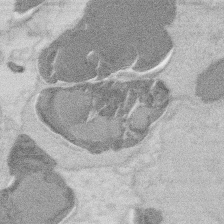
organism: Mouse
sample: T cell stromal cell synapse